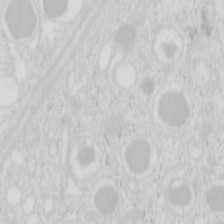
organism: Mouse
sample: Pancreas